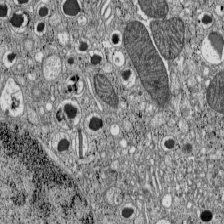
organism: C57BL Mouse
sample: Pancreatic islet